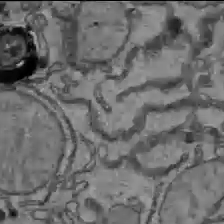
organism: C57BL Mouse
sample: Liver